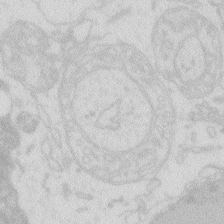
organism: Zebrafish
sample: Macrophage